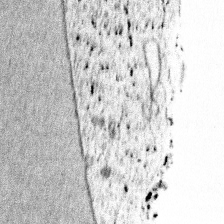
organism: Human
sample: HeLa cells